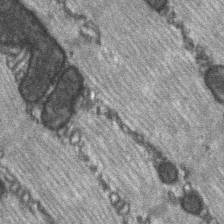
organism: C57BL Mouse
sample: Soleus